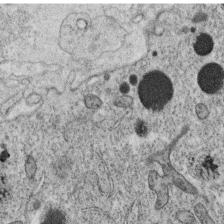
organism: C. elegans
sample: C. elegans oocyte; sperm cells